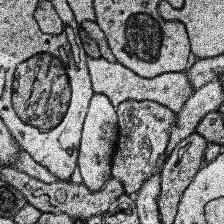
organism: Human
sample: Temporal Lobe